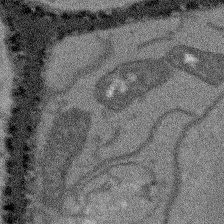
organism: Arabidopsis thaliana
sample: Root tip